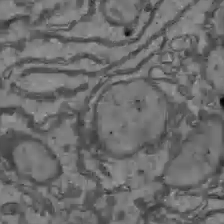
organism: C57BL Mouse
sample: Liver